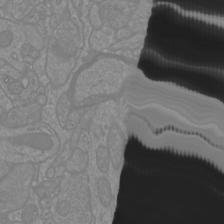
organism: Mouse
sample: Cortical neurons